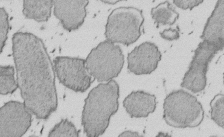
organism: E. coli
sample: Bacterial nucleoid